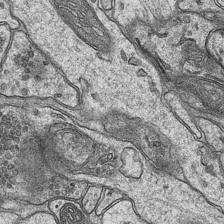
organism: Mouse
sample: CA1 Hippocampus